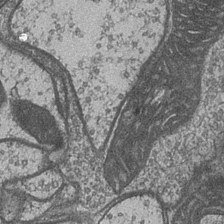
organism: Drosophila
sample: Optic medulla